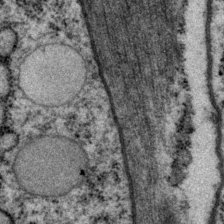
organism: P. pacificus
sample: Pharynx